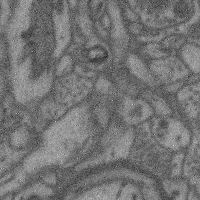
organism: Mouse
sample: Cerebral cortex